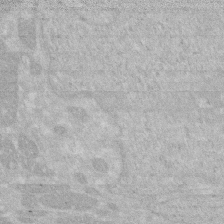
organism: Human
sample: HIV infected U937 cells